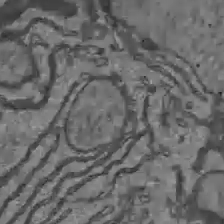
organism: C57BL Mouse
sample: Liver